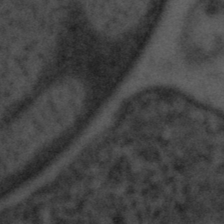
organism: Tuwongella immobilis